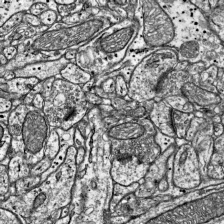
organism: Mouse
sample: Visual Cortex